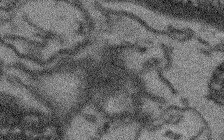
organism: Arabidopsis thaliana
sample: Root tip